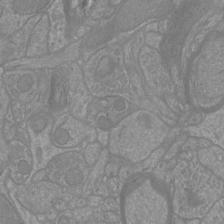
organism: Mouse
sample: Cortical neurons